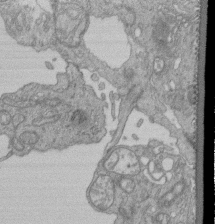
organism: Human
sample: Retinal organoid Rod and Cone cells